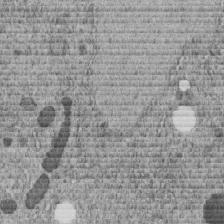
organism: C. elegans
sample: C. elegans embryo early stage